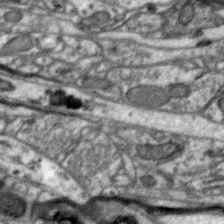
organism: Zebra finch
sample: Brain